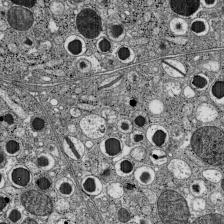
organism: C57BL Mouse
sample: Pancreatic islet